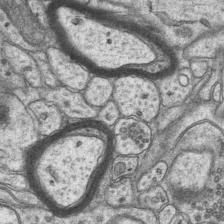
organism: Mouse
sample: CA1 Hippocampus